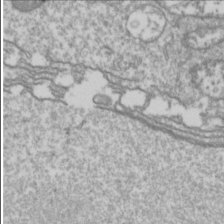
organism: Drosophila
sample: Cell division; meiosis; drosophila spermatocytes